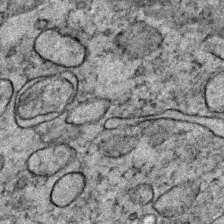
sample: Trachea